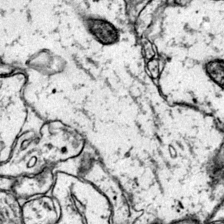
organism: Mouse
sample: Primary visual cortex